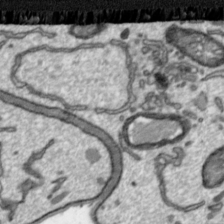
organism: Toxoplasma gondii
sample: Parasites in a vacuole inside a host cell